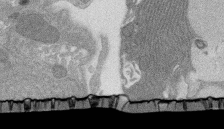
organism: Rat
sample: Salivary granule